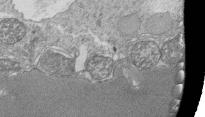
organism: Tetrahymena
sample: Cilia in tetrahymena